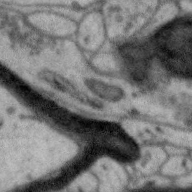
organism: Zebra finch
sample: Brain